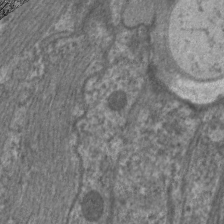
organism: C. elegans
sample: Pharynx